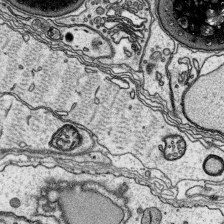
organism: Platynereis dumerilii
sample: Parapodia